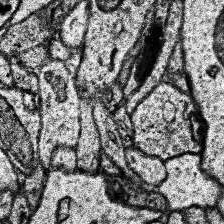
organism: Human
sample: Temporal Lobe